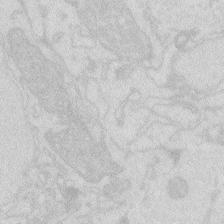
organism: Zebrafish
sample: Macrophage